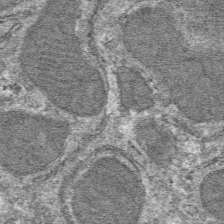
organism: Mouse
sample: Mouse hepatocytes